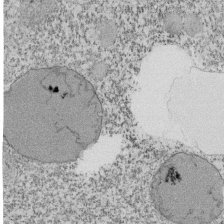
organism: Tetrahymena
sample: Cilia in tetrahymena